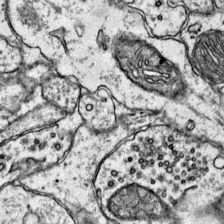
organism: Mouse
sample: Primary visual cortex